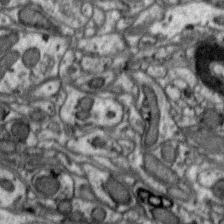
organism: Zebra finch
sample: Brain